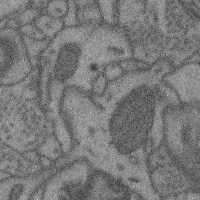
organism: Mouse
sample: Cerebral cortex